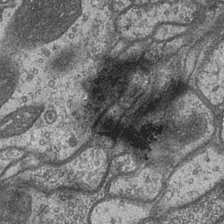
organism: Drosophila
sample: Optic medulla